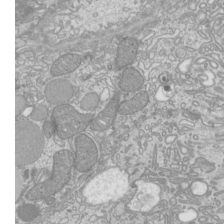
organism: Mouse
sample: Cilia; mouse epididymis